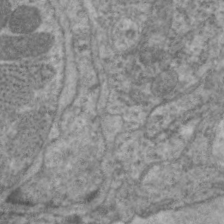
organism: C. elegans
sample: Pharynx